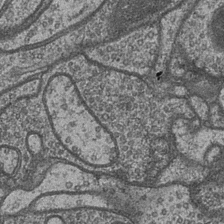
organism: Drosophila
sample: Optic medulla